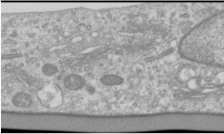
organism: Human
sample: Cilia; basal body in RPE cells